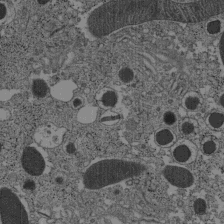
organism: C57BL Mouse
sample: Pancreatic islet